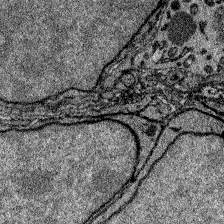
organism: Zebrafish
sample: Larval olfactory bulb